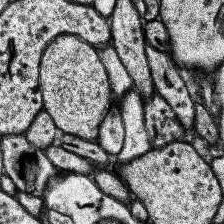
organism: Human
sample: Temporal Lobe